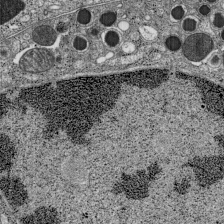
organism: C57BL Mouse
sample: Pancreatic islet